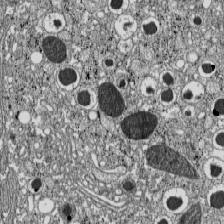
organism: C57BL Mouse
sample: Pancreatic islet